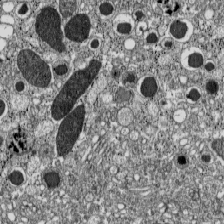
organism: C57BL Mouse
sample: Pancreatic islet